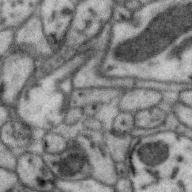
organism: Zebra finch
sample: Brain